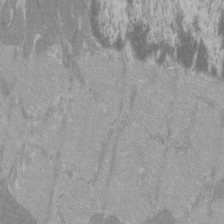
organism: C57BL Mouse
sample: Tibialis anterior muscle cell